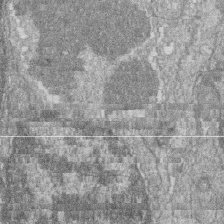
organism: Zebrafish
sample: Cilia; retinal pigment epithelium